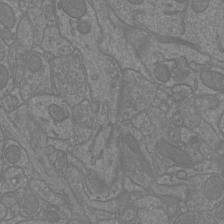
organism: Mouse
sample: Cortical neurons